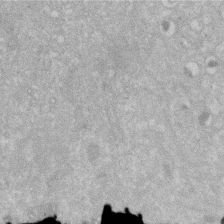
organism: Human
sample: HIV infected U937 cells